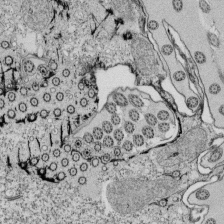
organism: Tetrahymena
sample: Cilia in tetrahymena